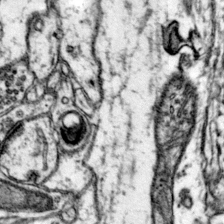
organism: Mouse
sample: Primary visual cortex